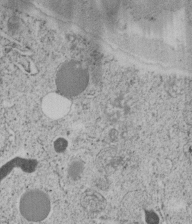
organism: C. elegans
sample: C. elegans embryo early stage